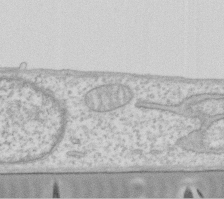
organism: Human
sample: Fibroblast cells